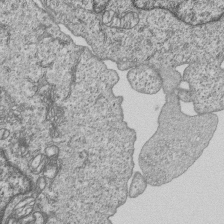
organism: Human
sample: MDA-MB-231 cells